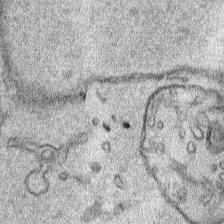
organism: Human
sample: Mitochondria in HCT116 cells